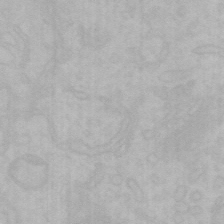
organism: Mouse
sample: Choroid plexus